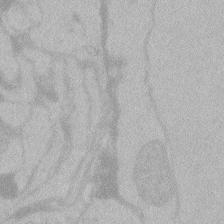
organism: Zebrafish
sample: Macrophage infected with Toxoplasma gondii